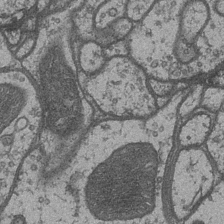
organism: Drosophila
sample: Optic medulla